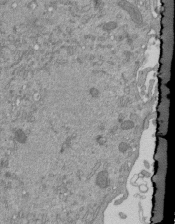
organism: Mouse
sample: ED-1 cell nuclei; centrioles